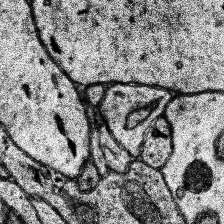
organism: Human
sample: Temporal Lobe